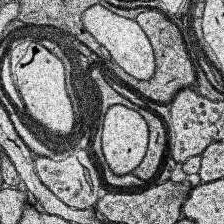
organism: Human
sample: Temporal Lobe